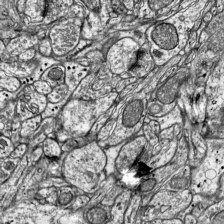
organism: Mouse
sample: Visual Cortex